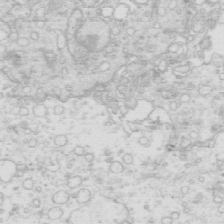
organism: Mouse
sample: Multiciliated cells